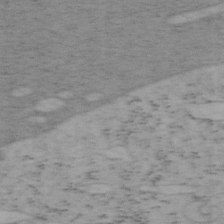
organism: Mouse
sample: OT-I killer T cells with ID8 ovarian cancer cells